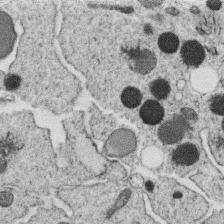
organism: C. elegans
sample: C. elegans oocyte; sperm cells